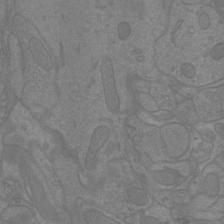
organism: Mouse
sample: Cortical neurons